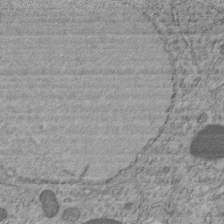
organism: C. elegans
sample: C. elegans embryo early stage